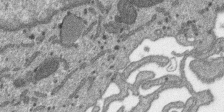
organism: Human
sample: Lung epithelial cells infected with SARS-CoV-2